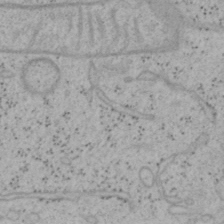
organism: Human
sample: HeLa cells